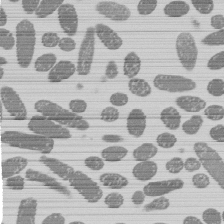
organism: E. coli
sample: Bacterial nucleoid